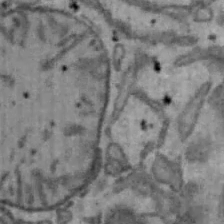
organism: Mouse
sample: Liver